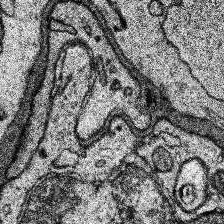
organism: Human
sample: Temporal Lobe